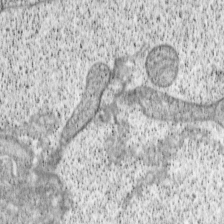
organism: African green monkey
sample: COS-7 cells